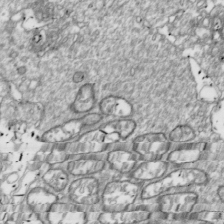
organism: Drosophila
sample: Cell division; meiosis; drosophila spermatocytes